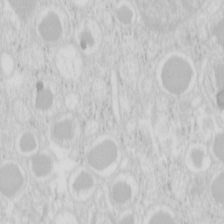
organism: Mouse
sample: Pancreas